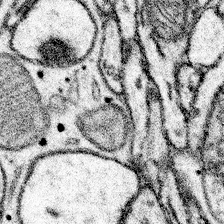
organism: Mouse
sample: Somatosensory cortex neuropil